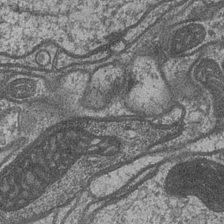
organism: Drosophila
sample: Optic medulla